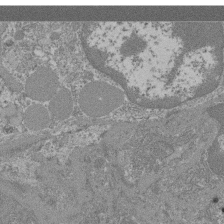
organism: Mouse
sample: Glomerulus